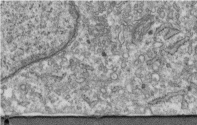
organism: Human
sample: Centriole in fibroblast cells